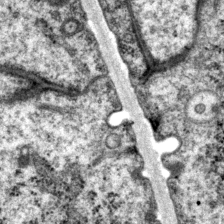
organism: P. pacificus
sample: Pharynx